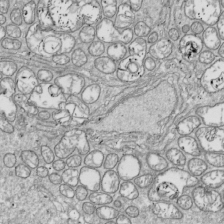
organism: Drosophila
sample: Cell division; meiosis; drosophila spermatocytes